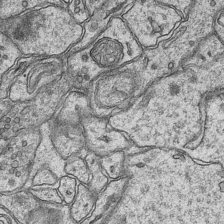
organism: Mouse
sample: CA1 Hippocampus